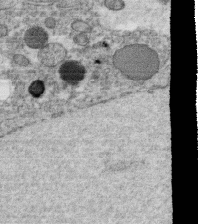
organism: C. elegans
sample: C. elegans oocyte; sperm cells